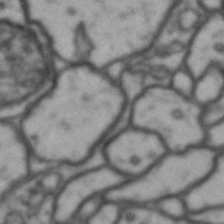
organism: Drosophila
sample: Brain